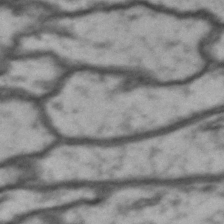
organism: Drosophila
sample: Brain